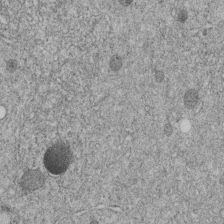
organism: C. elegans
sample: C. elegans embryo early stage